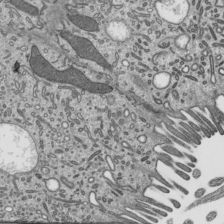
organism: Mouse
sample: Mouse epididymis efferent ductule cilia